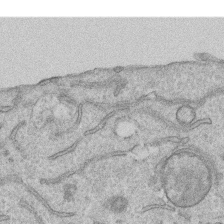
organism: Human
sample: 1205lu cells